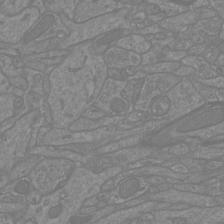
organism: Mouse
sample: Cortical neurons